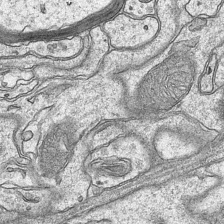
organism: Mouse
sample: CA1 Hippocampus